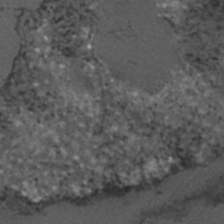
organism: C. elegans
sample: C. elegans embryo